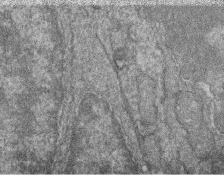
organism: Zebrafish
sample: Cilia; retinal pigment epithelium